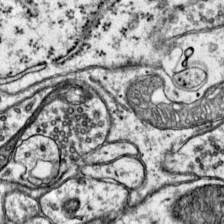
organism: Mouse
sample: Primary visual cortex